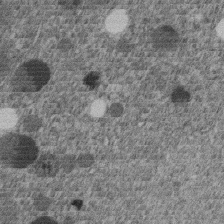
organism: C. elegans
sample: C. elegans embryo early stage